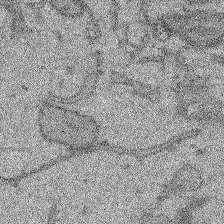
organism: Human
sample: HeLa cells